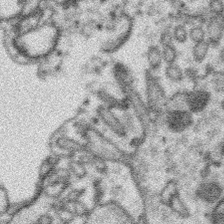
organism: Platynereis dumerilii